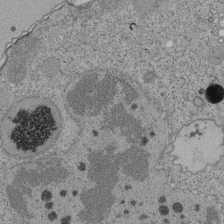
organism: Tetrahymena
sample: Cilia in tetrahymena